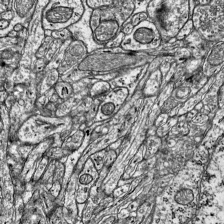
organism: Mouse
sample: Visual Cortex